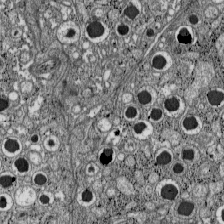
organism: C57BL Mouse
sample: Pancreatic islet